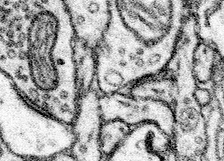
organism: Mouse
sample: Somatosensory cortex neuropil